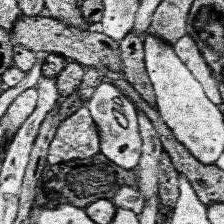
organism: Human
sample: Temporal Lobe